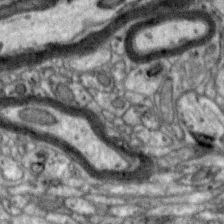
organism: Zebra finch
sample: Brain